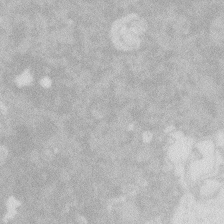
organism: Zebrafish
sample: Macrophage